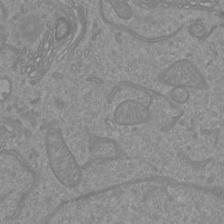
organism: Mouse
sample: Cortical neurons